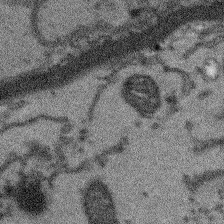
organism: Arabidopsis thaliana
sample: Root tip